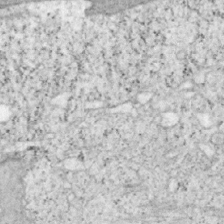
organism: Mouse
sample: OT-I killer T cells with ID8 ovarian cancer cells